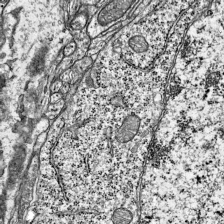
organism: Mouse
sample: Visual Cortex